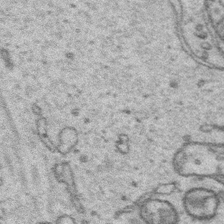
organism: Platynereis dumerilii